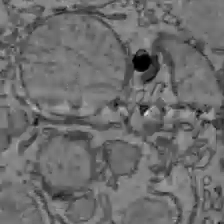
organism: C57BL Mouse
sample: Liver